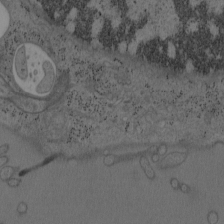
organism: Mouse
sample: OT-I killer T cells with ID8 ovarian cancer cells